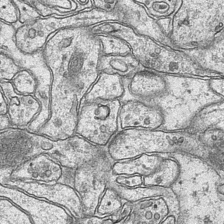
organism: Mouse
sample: CA1 Hippocampus